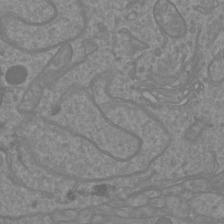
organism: Mouse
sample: Cortical neurons